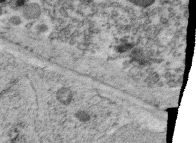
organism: C. elegans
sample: C. elegans oocyte; sperm cells